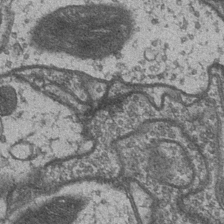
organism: Drosophila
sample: Optic medulla